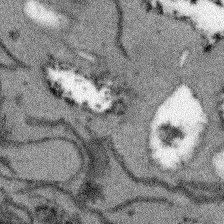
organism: Arabidopsis thaliana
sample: Root tip